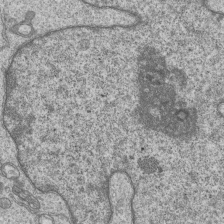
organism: Human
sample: MDA-MB-231 cells